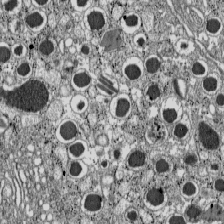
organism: C57BL Mouse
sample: Pancreatic islet